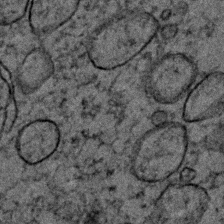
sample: Trachea